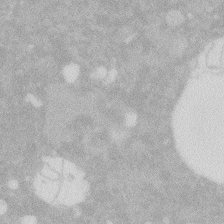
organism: Zebrafish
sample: Macrophage